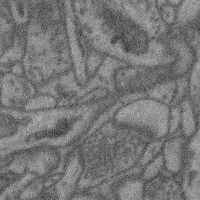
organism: Mouse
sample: Cerebral cortex